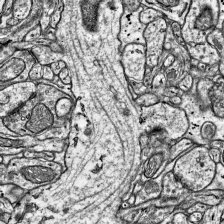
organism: Mouse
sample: Visual Cortex